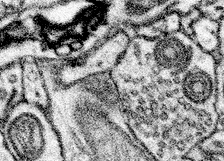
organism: Mouse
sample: Somatosensory cortex neuropil